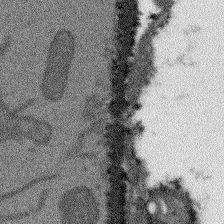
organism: Arabidopsis thaliana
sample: Root tip